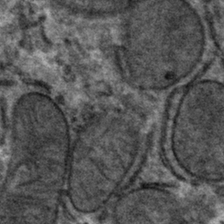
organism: Mouse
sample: Mouse hepatocytes